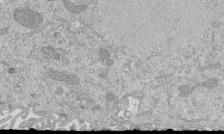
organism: Mouse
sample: ED-1 cell nuclei; centrioles